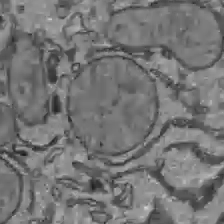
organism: C57BL Mouse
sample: Liver